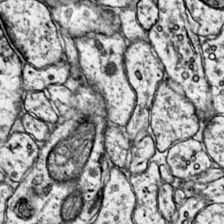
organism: Mouse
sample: Primary visual cortex